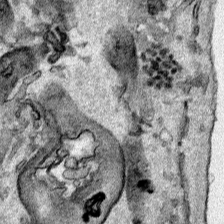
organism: Human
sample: Mitochondria in HCT116 cells